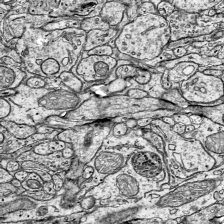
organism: Mouse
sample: Visual Cortex